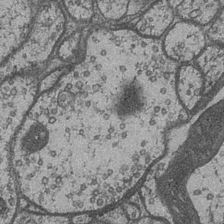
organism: Drosophila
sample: Optic medulla